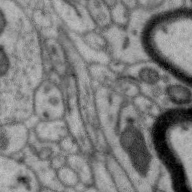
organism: Zebra finch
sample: Brain